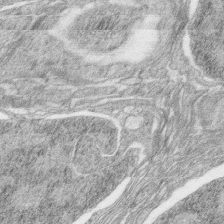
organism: Zebrafish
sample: synaptic ribbons in rod cells and cone cells